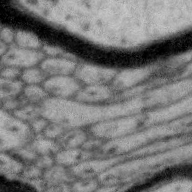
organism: Zebra finch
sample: Brain